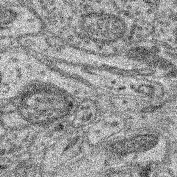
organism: Mouse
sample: Retina